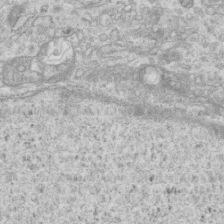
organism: Mouse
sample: Centriole in ependymal cells